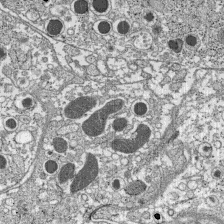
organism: C57BL Mouse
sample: Pancreatic islet